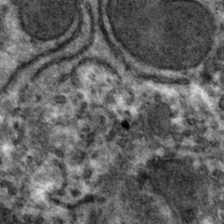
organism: Mouse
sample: Mouse hepatocytes